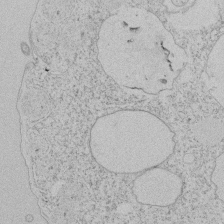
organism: Tetrahymena